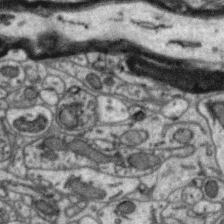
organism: Zebra finch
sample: Brain